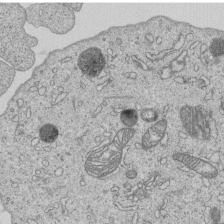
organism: Human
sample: MDA-MB-231 cells